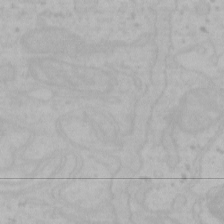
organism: Mouse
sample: Choroid plexus